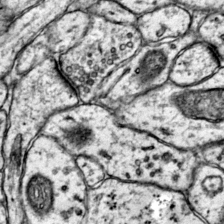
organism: Mouse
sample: Primary visual cortex